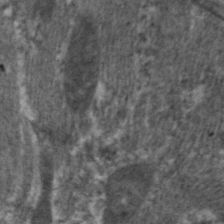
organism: C. elegans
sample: Pharynx